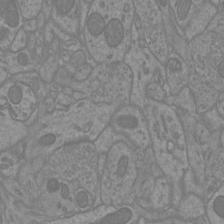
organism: Mouse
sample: Cortical neurons